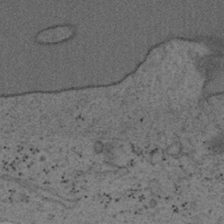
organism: Human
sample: HeLa cells